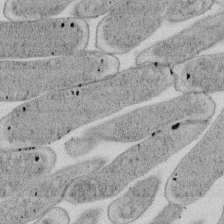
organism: E. coli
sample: Bacterial nucleoid